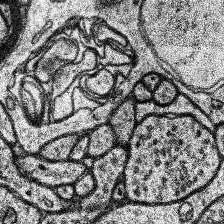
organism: Human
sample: Temporal Lobe